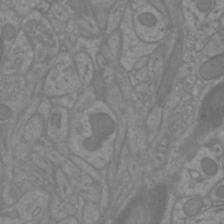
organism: Mouse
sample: Cortical neurons